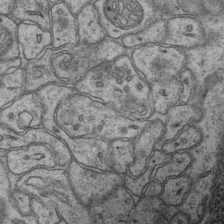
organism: Mouse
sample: CA1 Hippocampus